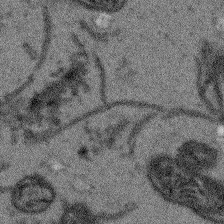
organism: Arabidopsis thaliana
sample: Root tip